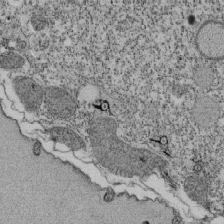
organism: Tetrahymena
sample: Cilia in tetrahymena